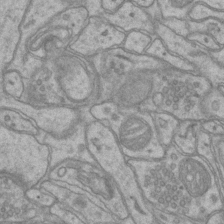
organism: Mouse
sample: CA1 Hippocampus